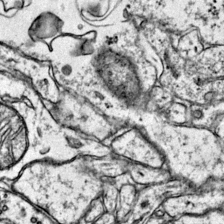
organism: Mouse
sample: Primary visual cortex